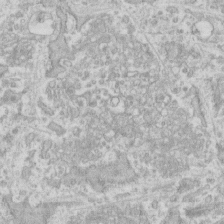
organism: Human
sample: Fibroblast cells